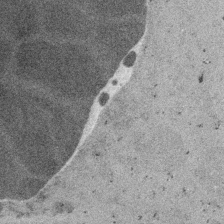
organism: Embia sp.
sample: Silk gland